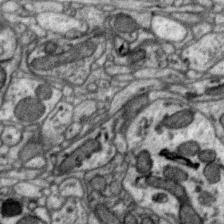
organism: Zebra finch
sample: Brain